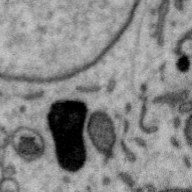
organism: Zebra finch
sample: Brain